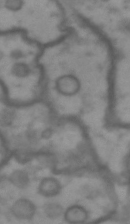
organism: Drosophila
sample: Brain